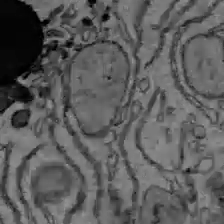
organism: C57BL Mouse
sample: Liver